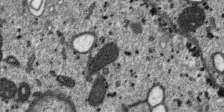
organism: Human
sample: Lung epithelial cells infected with SARS-CoV-2